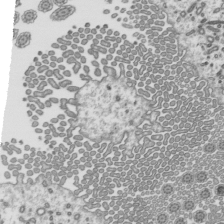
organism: Mouse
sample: Mouse epididymis efferent ductule cilia